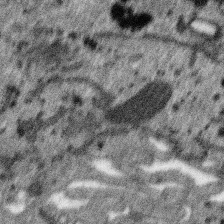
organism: Human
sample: Lung epithelial cells infected with SARS-CoV-2